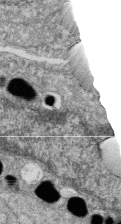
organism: Zebrafish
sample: Cilia; retinal pigment epithelium